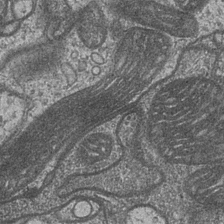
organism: Drosophila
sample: Optic medulla